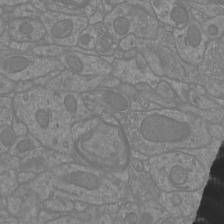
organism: Mouse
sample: Cortical neurons